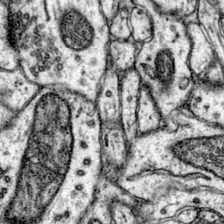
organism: Mouse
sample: Primary visual cortex